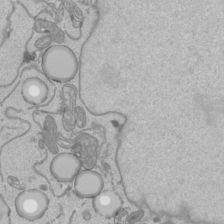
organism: Human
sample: Mitochondria in HCT116 cells